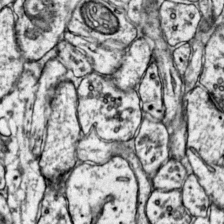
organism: Mouse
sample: Primary visual cortex